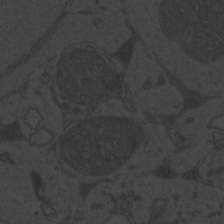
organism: Zebrafish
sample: Macrophage infected with Toxoplasma gondii